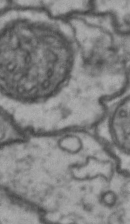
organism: Drosophila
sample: Brain